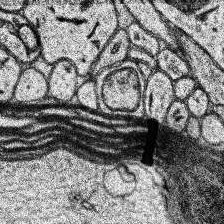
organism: Human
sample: Temporal Lobe